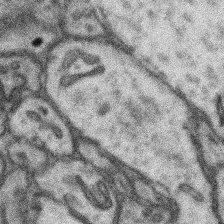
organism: Mouse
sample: Somatosensory cortex neuropil